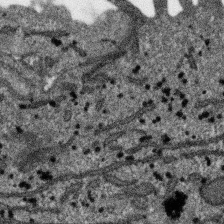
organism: Human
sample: Lung epithelial cells infected with SARS-CoV-2